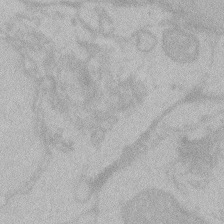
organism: Zebrafish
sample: Macrophage infected with Toxoplasma gondii